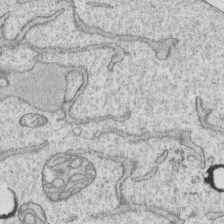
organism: Human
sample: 1205lu cells